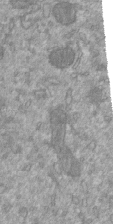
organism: Mouse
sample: ED-1 cell nuclei; centrioles